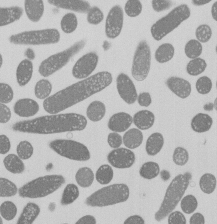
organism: E. coli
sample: Bacterial nucleoid